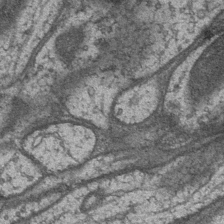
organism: Drosophila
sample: Optic medulla